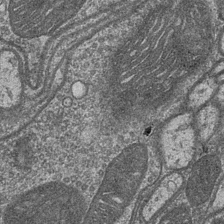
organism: Drosophila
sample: Optic medulla